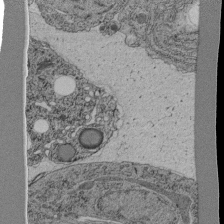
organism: C. elegans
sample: C. elegans pharynx